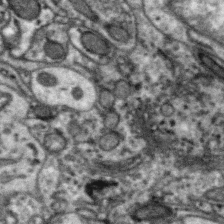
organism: Zebra finch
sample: Brain